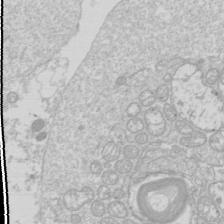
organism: Drosophila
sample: Cell division; meiosis; drosophila spermatocytes